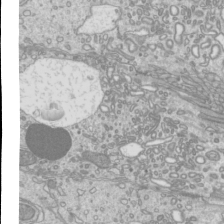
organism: Mouse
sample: Cilia; mouse epididymis